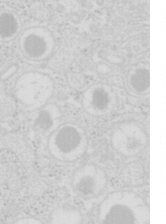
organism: Mouse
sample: Pancreas